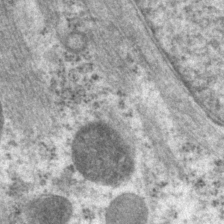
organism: P. pacificus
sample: Pharynx